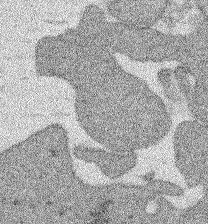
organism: Human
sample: HeLa cells